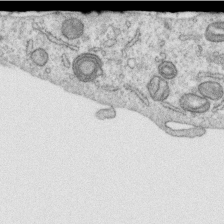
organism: Human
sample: Centriole in RPE cells